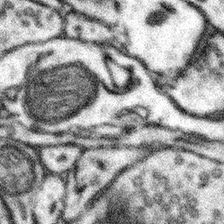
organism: Mouse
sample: Somatosensory cortex neuropil